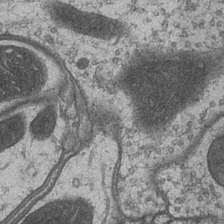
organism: Drosophila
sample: Optic medulla